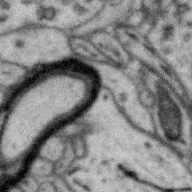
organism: Zebra finch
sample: Brain